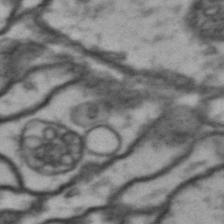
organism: Drosophila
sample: Brain